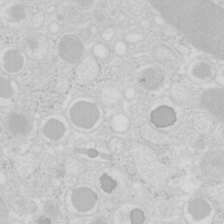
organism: Mouse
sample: Pancreas